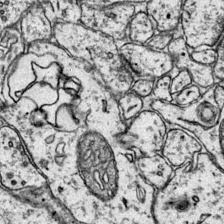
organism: Mouse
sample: Primary visual cortex